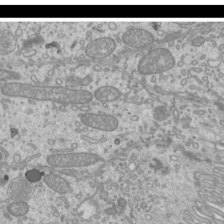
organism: Mouse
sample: Cilia; mouse epididymis